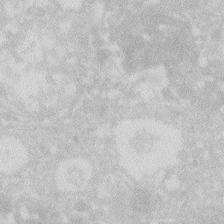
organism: Zebrafish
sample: Macrophage